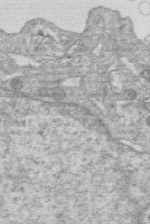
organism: Human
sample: Macrophage cells